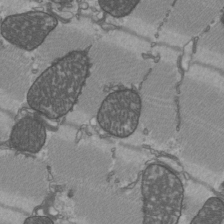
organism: C57BL Mouse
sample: Heart